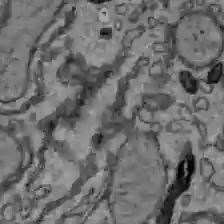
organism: C57BL Mouse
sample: Liver